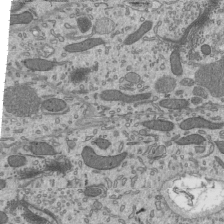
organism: Mouse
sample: Mouse epididymis efferent ductule cilia